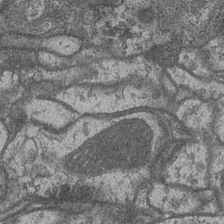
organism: Drosophila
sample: Optic medulla